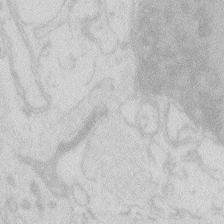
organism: Zebrafish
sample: Macrophage